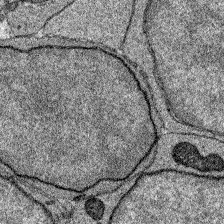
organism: Zebrafish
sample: Larval olfactory bulb